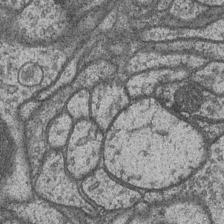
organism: Drosophila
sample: Optic medulla